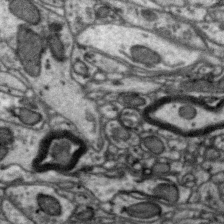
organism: Zebra finch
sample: Brain